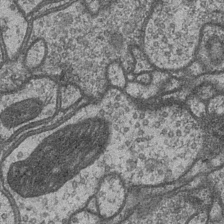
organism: Drosophila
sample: Optic medulla